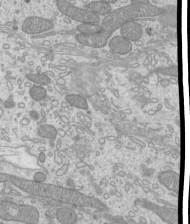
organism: Mouse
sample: Cilia; mouse epididymis